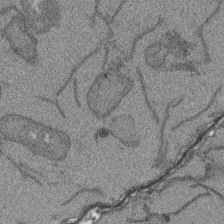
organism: Arabidopsis thaliana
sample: Root tip